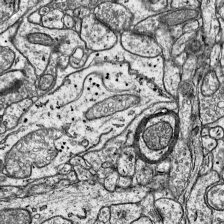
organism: Mouse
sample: Visual Cortex